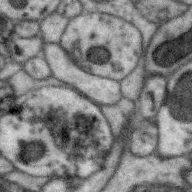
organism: Zebra finch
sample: Brain